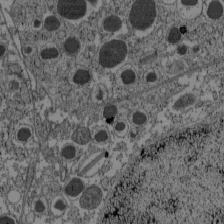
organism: C57BL Mouse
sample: Pancreatic islet